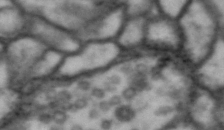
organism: Drosophila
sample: Brain